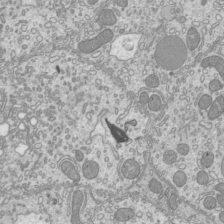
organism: Mouse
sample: Cilia; mouse epididymis